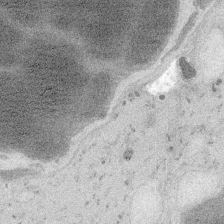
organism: Embia sp.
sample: Silk gland